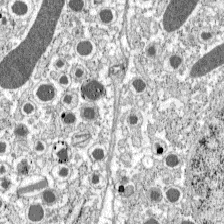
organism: C57BL Mouse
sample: Pancreatic islet